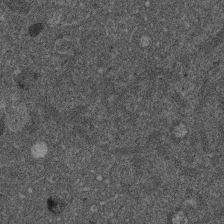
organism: Mouse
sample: Dividing mouse embryo 1 cell stage